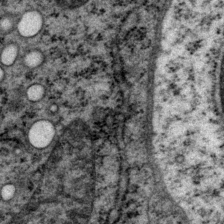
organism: P. pacificus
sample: Pharynx